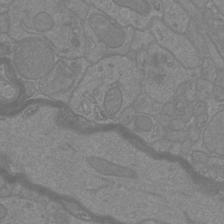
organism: Mouse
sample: Cortical neurons